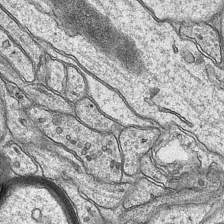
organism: Mouse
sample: CA1 Hippocampus